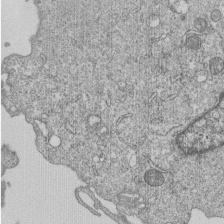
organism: Human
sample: MDA-MB-231 cells